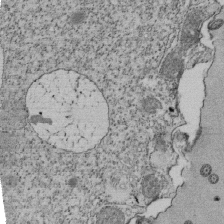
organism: Tetrahymena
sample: Cilia in tetrahymena